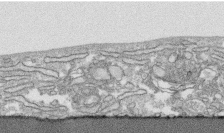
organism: Human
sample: CRL-1474